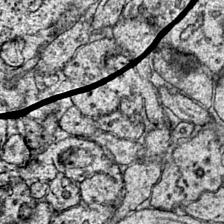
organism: Mouse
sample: Primary visual cortex